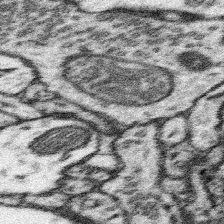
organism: Mouse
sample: Somatosensory cortex neuropil